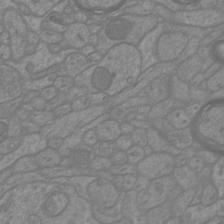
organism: Mouse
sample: Cortical neurons